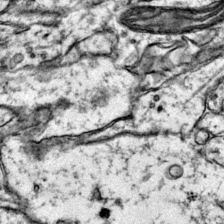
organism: Mouse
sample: Primary visual cortex